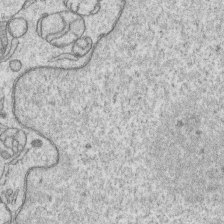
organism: Human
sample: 1205lu cells